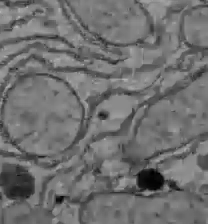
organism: C57BL Mouse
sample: Liver